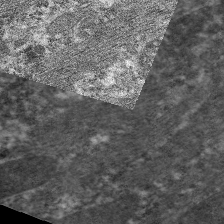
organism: C. elegans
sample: Pharynx